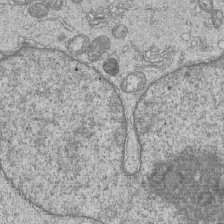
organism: Human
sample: MDA-MB-231 cells